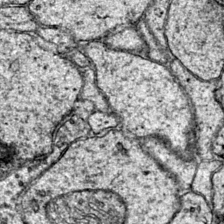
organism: Mouse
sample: Primary visual cortex